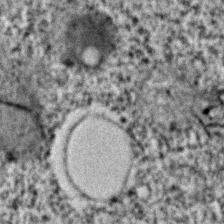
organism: C. elegans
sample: C. elegans embryo